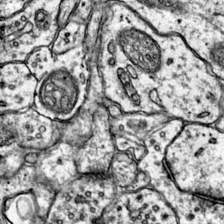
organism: Mouse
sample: Primary visual cortex